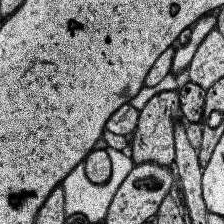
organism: Human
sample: Temporal Lobe